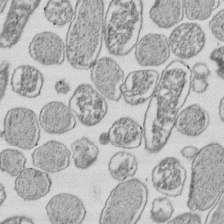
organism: E. coli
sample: Bacterial nucleoid